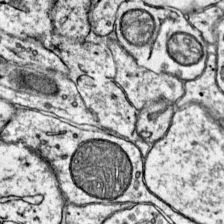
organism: Mouse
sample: Primary visual cortex